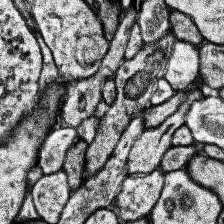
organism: Human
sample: Temporal Lobe